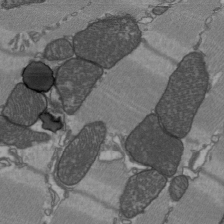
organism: C57BL Mouse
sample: Heart